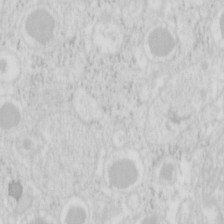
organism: Mouse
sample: Pancreas